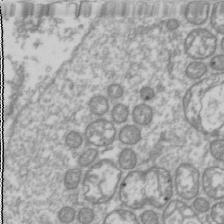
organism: Drosophila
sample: Cell division; meiosis; drosophila spermatocytes